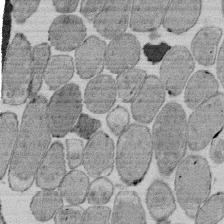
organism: E. coli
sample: Bacterial nucleoid